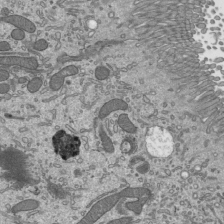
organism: Mouse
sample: Mouse epididymis efferent ductule cilia